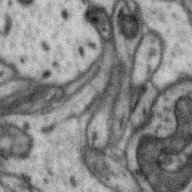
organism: Zebra finch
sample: Brain